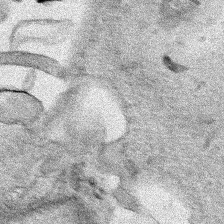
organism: Human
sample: Mitochondria in HCT116 cells